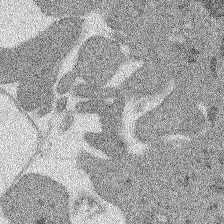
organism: Human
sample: HeLa cells